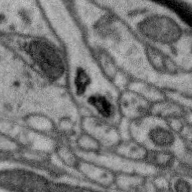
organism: Zebra finch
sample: Brain